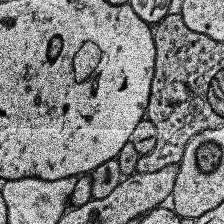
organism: Human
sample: Temporal Lobe